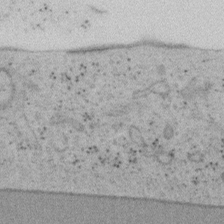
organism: Human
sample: HeLa cells